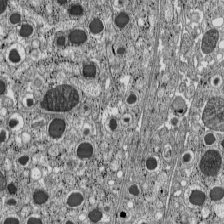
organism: C57BL Mouse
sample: Pancreatic islet